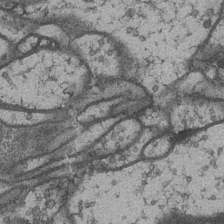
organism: Drosophila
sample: Optic medulla